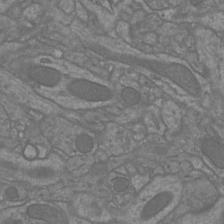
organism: Mouse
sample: Cortical neurons